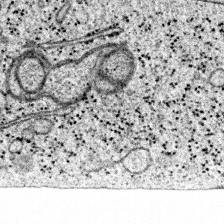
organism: Human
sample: HeLa cells